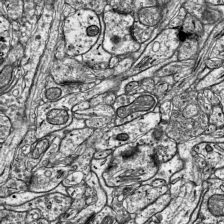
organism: Mouse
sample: Visual Cortex